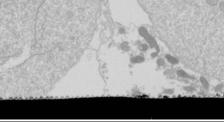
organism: Drosophila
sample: Cell division; meiosis; drosophila spermatocytes